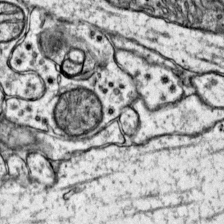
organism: Mouse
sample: Primary visual cortex